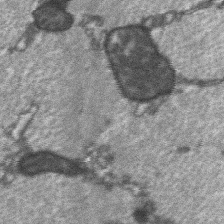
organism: C57BL Mouse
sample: Soleus